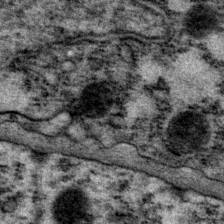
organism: P. pacificus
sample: Pharynx